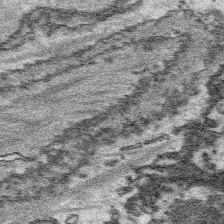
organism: Platynereis dumerilii